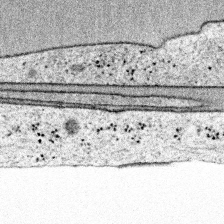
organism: Human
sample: HeLa cells